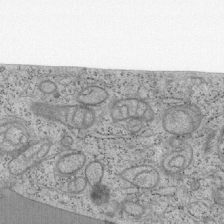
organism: Human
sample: HeLa cells